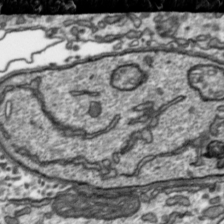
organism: Toxoplasma gondii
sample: Parasites in a vacuole inside a host cell